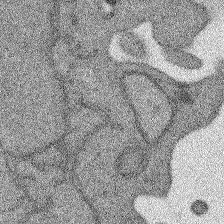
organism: Human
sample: HeLa cells